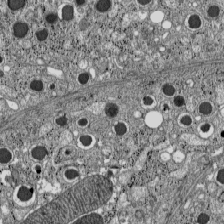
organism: C57BL Mouse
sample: Pancreatic islet